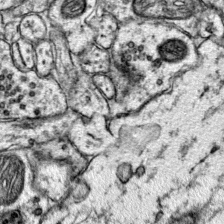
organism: Mouse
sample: Primary visual cortex